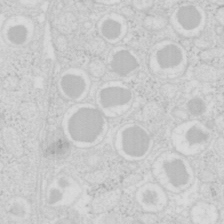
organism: Mouse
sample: Pancreas